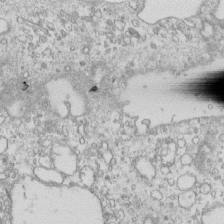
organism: Mouse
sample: Macrophages